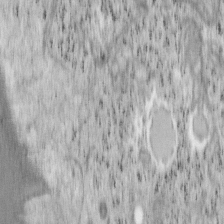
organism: Human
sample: HeLa cells